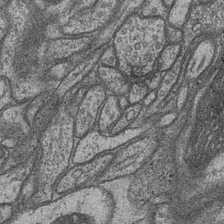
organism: Drosophila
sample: Optic medulla